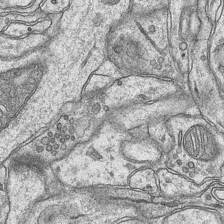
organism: Mouse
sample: CA1 Hippocampus